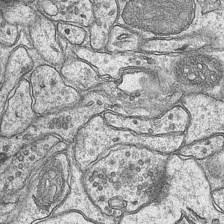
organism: Mouse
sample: CA1 Hippocampus